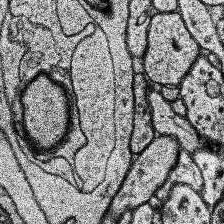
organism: Human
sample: Temporal Lobe